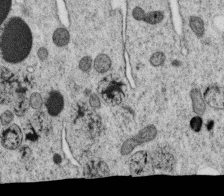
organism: C. elegans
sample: C. elegans oocyte; sperm cells